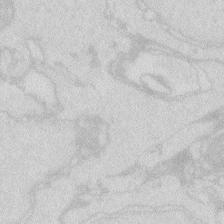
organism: Zebrafish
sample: Macrophage